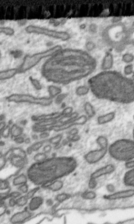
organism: Toxoplasma gondii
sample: Parasites in a vacuole inside a host cell